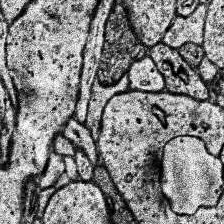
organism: Human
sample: Temporal Lobe